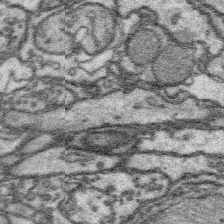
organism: Platynereis dumerilii